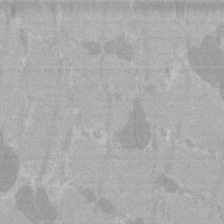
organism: C57BL Mouse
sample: Tibialis anterior muscle cell